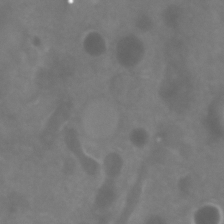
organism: Zebrafish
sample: Zebrafish embryo